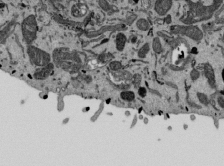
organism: Mouse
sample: ED-1 cell nuclei; centrioles